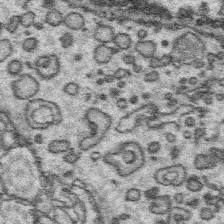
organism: Platynereis dumerilii